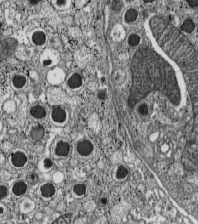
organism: C57BL Mouse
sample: Pancreatic islet